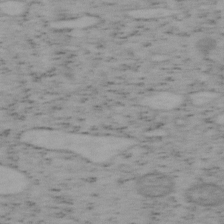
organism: Mouse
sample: OT-I killer T cells with ID8 ovarian cancer cells